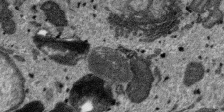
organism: Human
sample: Lung epithelial cells, uninfected (mock) control